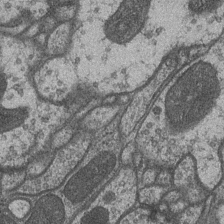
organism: Drosophila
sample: Optic medulla